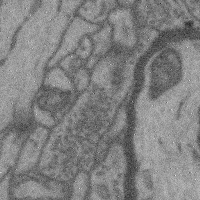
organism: Mouse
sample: Cerebral cortex